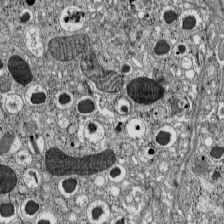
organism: C57BL Mouse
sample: Pancreatic islet